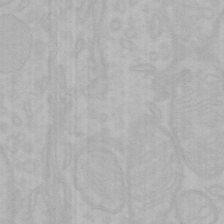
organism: Mouse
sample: Choroid plexus